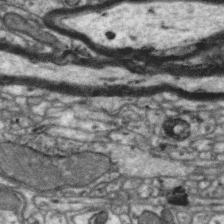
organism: Zebra finch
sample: Brain